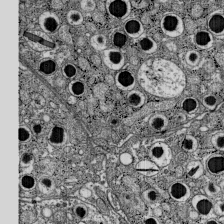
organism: C57BL Mouse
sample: Pancreatic islet